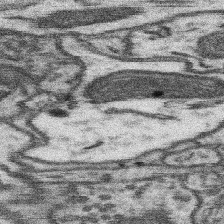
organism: Mouse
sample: Somatosensory cortex neuropil